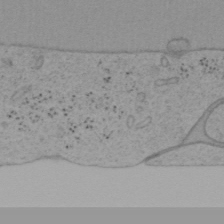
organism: Human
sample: HeLa cells